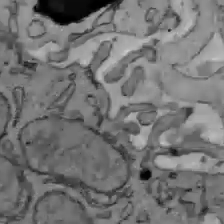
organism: C57BL Mouse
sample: Liver